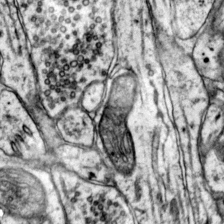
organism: Mouse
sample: Primary visual cortex